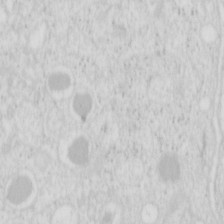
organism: Mouse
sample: Pancreas